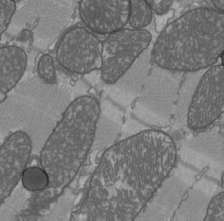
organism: C57BL Mouse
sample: Heart